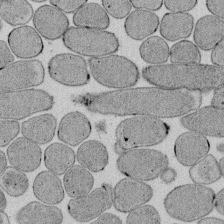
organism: E. coli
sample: Bacterial nucleoid